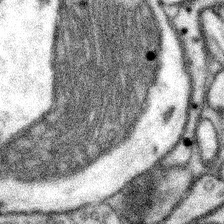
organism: Mouse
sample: Somatosensory cortex neuropil